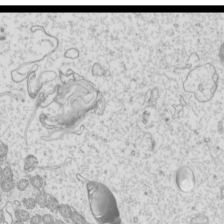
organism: Mouse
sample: Cilia; mouse epididymis